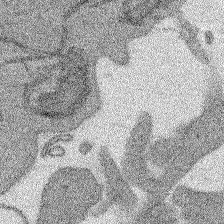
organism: Human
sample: HeLa cells